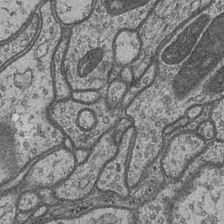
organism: Drosophila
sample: Optic medulla